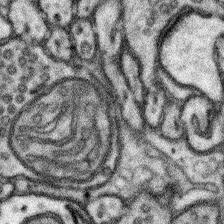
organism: Mouse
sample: Somatosensory cortex neuropil